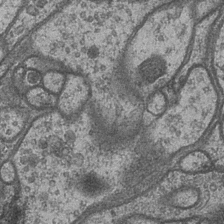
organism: Drosophila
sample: Optic medulla